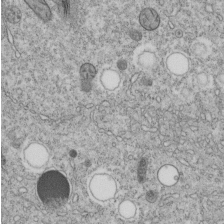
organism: C. elegans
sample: C. elegans embryo early stage